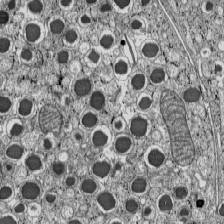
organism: C57BL Mouse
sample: Pancreatic islet